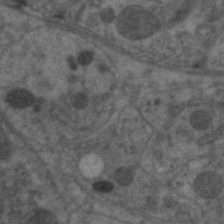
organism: C. elegans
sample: Pharynx